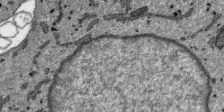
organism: Human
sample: Lung epithelial cells, uninfected (mock) control